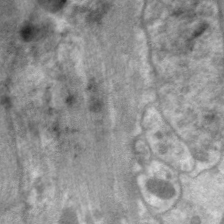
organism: C. elegans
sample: Pharynx